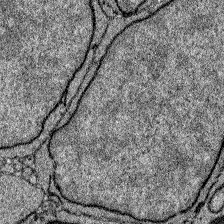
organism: Zebrafish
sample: Larval olfactory bulb